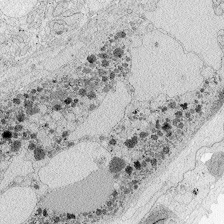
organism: Zebrafish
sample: Whole-Brain